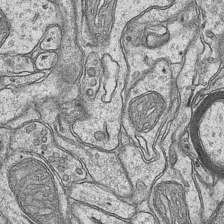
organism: Mouse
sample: CA1 Hippocampus